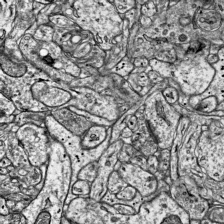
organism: Mouse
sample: Visual Cortex